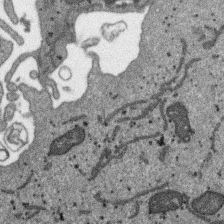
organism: Human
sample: Lung epithelial cells infected with SARS-CoV-2